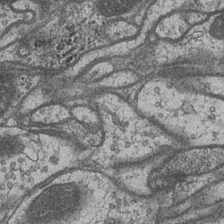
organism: Drosophila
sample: Optic medulla